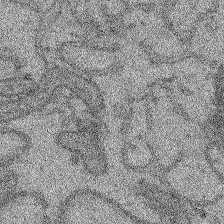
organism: Human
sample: HeLa cells